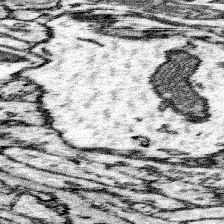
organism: Mouse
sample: Somatosensory cortex neuropil